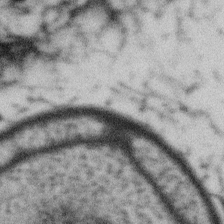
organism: Gemmata obscuriglobus